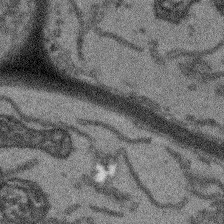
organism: Arabidopsis thaliana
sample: Root tip